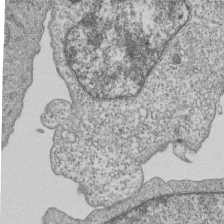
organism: Human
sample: MDA-MB-231 cells